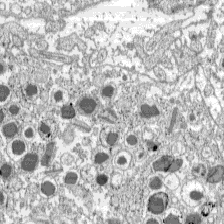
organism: C57BL Mouse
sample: Pancreatic islet